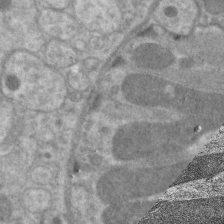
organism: C. elegans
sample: Pharynx